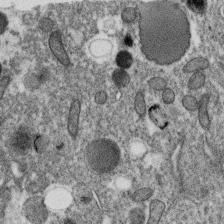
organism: C. elegans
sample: C. elegans oocyte; sperm cells